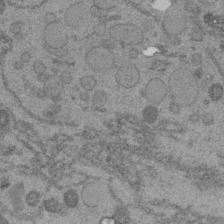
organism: C. elegans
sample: C. elegans embryo early stage